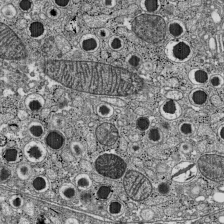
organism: C57BL Mouse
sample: Pancreatic islet